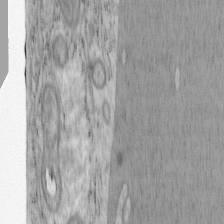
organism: Human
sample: HeLa cells